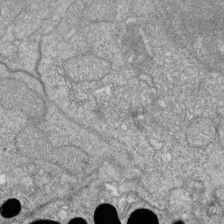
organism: Zebrafish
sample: Cilia; retinal pigment epithelium